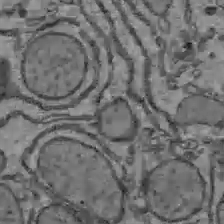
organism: C57BL Mouse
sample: Liver